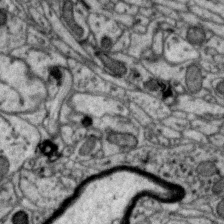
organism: Zebra finch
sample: Brain